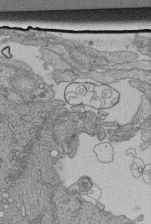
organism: Human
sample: Retinal organoid Rod and Cone cells